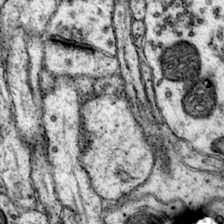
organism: Mouse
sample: Primary visual cortex